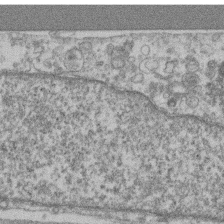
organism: Mouse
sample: T cell stromal cell synapse